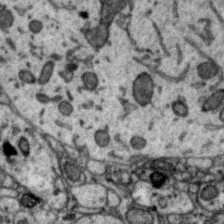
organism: Zebra finch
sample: Brain